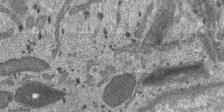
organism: Human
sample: Lung epithelial cells infected with SARS-CoV-2